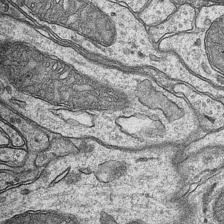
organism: Mouse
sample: CA1 Hippocampus